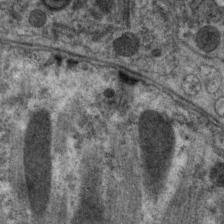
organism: C. elegans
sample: Pharynx